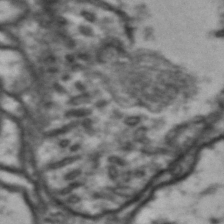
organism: Drosophila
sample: Brain